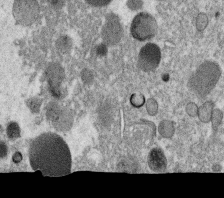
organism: C. elegans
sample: C. elegans oocyte; sperm cells